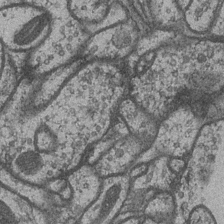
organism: Drosophila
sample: Optic medulla